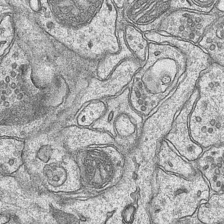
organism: Mouse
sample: CA1 Hippocampus